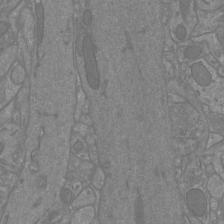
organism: Mouse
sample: Cortical neurons